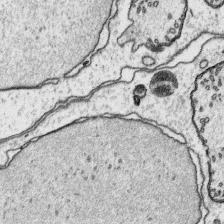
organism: Platynereis dumerilii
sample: Parapodia